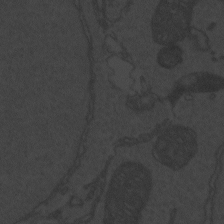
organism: Zebrafish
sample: Macrophage infected with Toxoplasma gondii